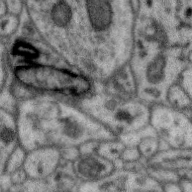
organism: Zebra finch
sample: Brain